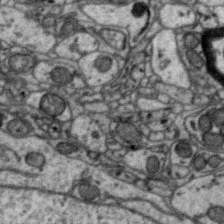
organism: Zebra finch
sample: Brain